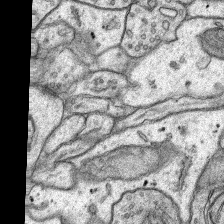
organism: Rat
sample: Hippocampus